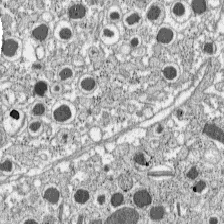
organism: C57BL Mouse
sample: Pancreatic islet